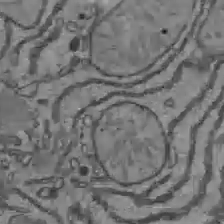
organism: C57BL Mouse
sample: Liver